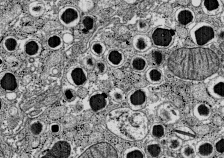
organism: C57BL Mouse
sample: Pancreatic islet